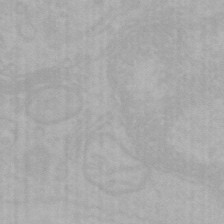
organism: Mouse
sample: Choroid plexus